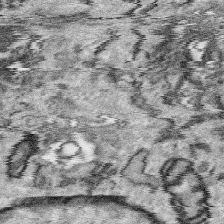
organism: Human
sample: HeLa cells